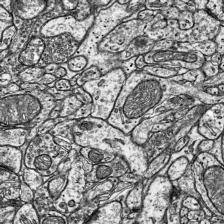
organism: Mouse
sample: Visual Cortex